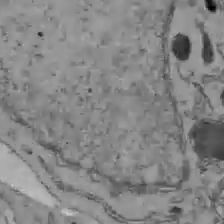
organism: C57BL Mouse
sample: Liver